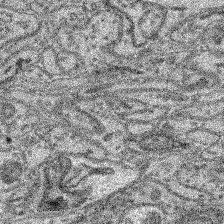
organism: Mouse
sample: Retina